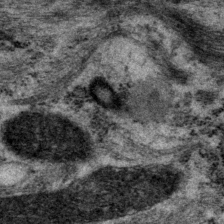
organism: P. pacificus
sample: Pharynx